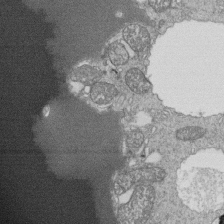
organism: Tetrahymena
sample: Cilia in tetrahymena